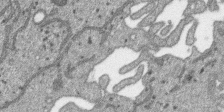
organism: Human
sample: Lung epithelial cells infected with SARS-CoV-2